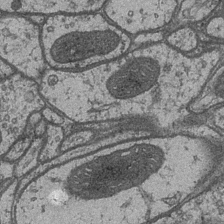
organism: Drosophila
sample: Optic medulla